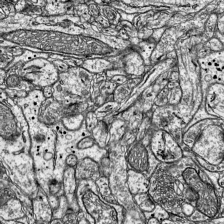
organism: Mouse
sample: Visual Cortex